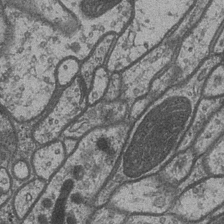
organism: Drosophila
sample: Optic medulla